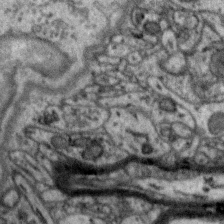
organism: Zebra finch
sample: Brain